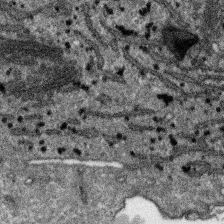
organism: Human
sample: Lung epithelial cells infected with SARS-CoV-2